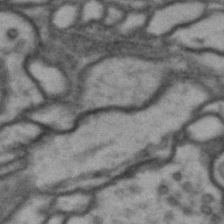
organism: Drosophila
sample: Brain